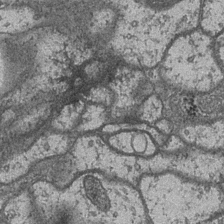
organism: Drosophila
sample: Optic medulla